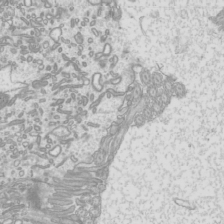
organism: Mouse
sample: Cilia; mouse epididymis